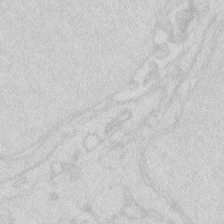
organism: Zebrafish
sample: Macrophage